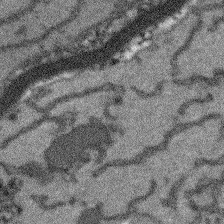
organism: Arabidopsis thaliana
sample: Root tip